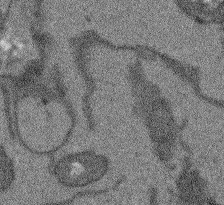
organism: Arabidopsis thaliana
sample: Root tip